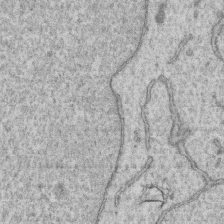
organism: Human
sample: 1205lu cells